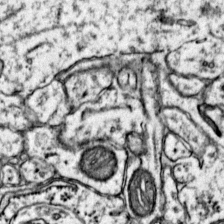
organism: Mouse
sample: Primary visual cortex